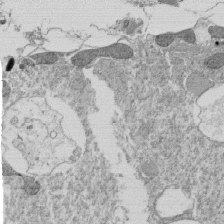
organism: Tetrahymena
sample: Cilia in tetrahymena